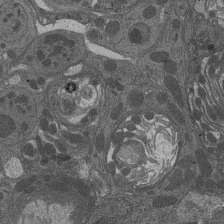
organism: Drosophila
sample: Antenna